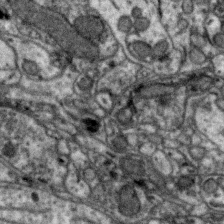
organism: Zebra finch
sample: Brain